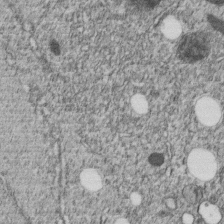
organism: C. elegans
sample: C. elegans embryo early stage